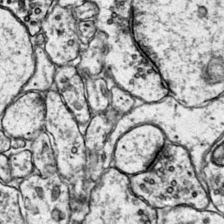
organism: Mouse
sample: Primary visual cortex